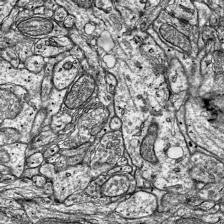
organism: Mouse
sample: Visual Cortex